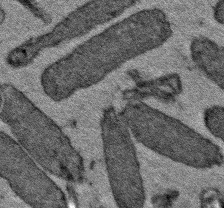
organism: E. coli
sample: E. Coli Bacteria